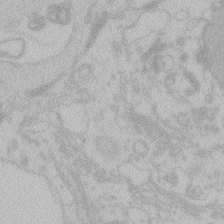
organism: Zebrafish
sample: Macrophage infected with Toxoplasma gondii